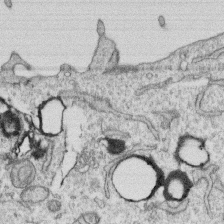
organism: Human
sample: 1205lu cells